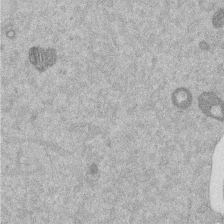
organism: Mouse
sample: Dividing mouse embryo 1 cell stage